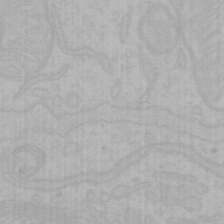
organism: Mouse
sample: Choroid plexus